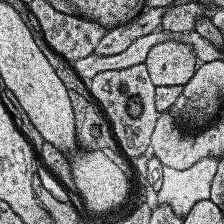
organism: Human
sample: Temporal Lobe